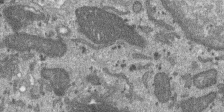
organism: Human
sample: Lung epithelial cells infected with SARS-CoV-2